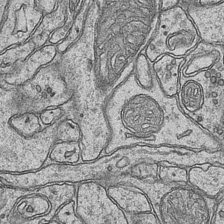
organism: Mouse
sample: CA1 Hippocampus